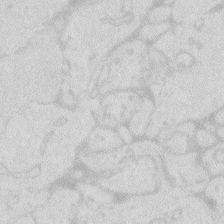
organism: Zebrafish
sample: Macrophage